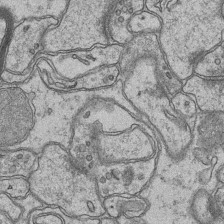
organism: Mouse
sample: CA1 Hippocampus